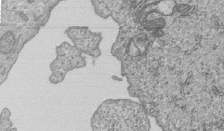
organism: Human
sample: MDA-MB-231 cells